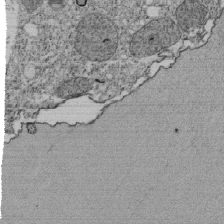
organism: Tetrahymena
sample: Cilia in tetrahymena